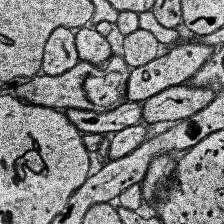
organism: Human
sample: Temporal Lobe